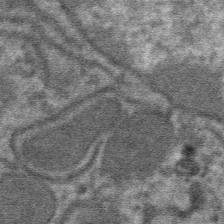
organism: Mouse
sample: Mouse hepatocytes